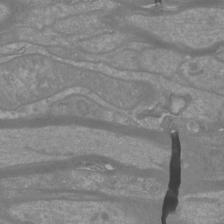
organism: Mouse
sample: Cortical neurons